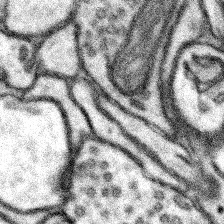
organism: Mouse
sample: Somatosensory cortex neuropil